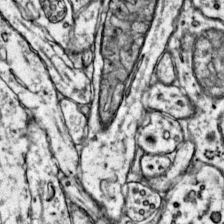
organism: Mouse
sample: Primary visual cortex